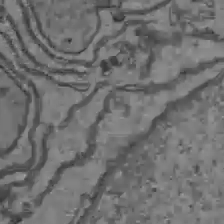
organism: C57BL Mouse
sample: Liver